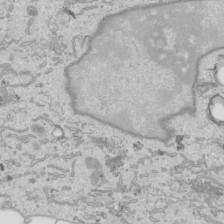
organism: Human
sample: Mitochondria in HCT116 cells